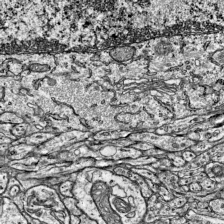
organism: Mouse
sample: Visual Cortex